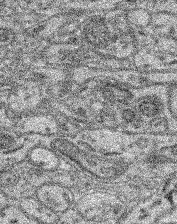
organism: Mouse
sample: Retina